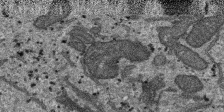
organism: Human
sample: Lung epithelial cells infected with SARS-CoV-2